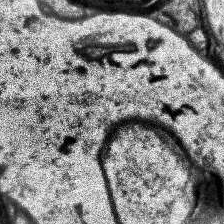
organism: Human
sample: Temporal Lobe